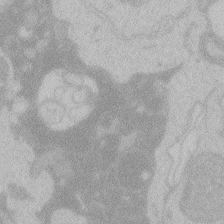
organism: Zebrafish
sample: Macrophage infected with Toxoplasma gondii